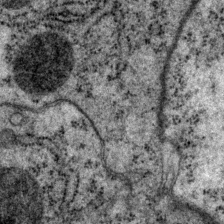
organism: P. pacificus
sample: Pharynx